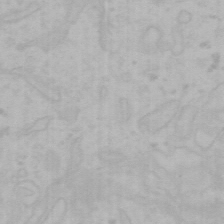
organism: Mouse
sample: Choroid plexus